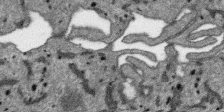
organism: Human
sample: Lung epithelial cells, uninfected (mock) control